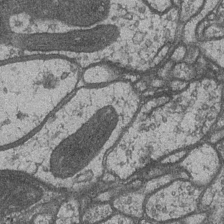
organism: Drosophila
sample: Optic medulla